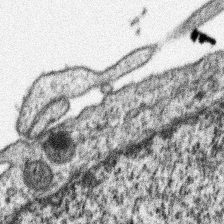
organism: Human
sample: HeLa cells